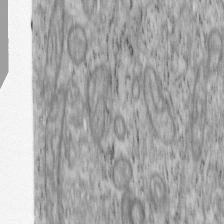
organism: Human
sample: HeLa cells